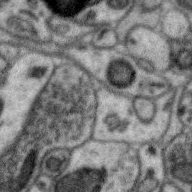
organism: Zebra finch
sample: Brain